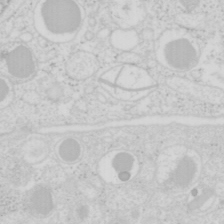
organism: Mouse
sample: Pancreas